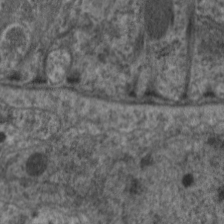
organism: C. elegans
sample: Pharynx